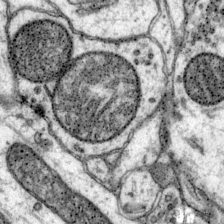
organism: Mouse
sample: Primary visual cortex